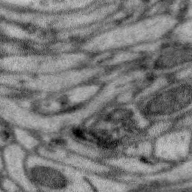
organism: Zebra finch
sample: Brain